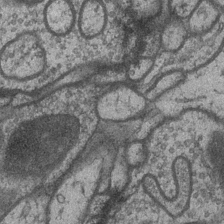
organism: Drosophila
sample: Optic medulla